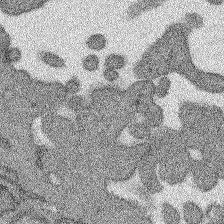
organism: Human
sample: HeLa cells